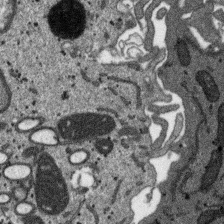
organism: Human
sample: Lung epithelial cells infected with SARS-CoV-2